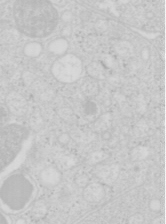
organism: Mouse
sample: Pancreas